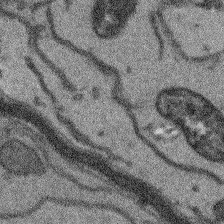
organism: Arabidopsis thaliana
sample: Root tip